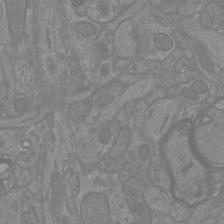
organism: Mouse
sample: Cortical neurons